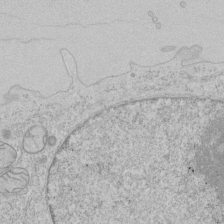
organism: Human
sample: Mitochondria in HCT116 cells